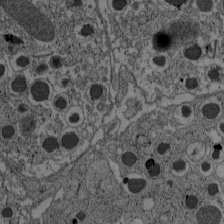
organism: C57BL Mouse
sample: Pancreatic islet